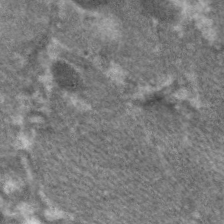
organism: C. elegans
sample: Pharynx